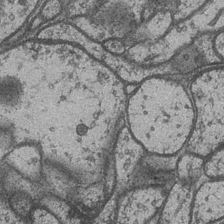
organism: Drosophila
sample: Optic medulla